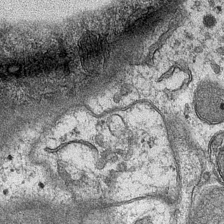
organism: Mouse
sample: CA1 Hippocampus